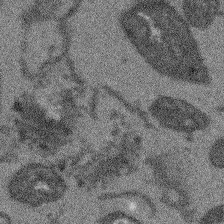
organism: Arabidopsis thaliana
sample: Root tip